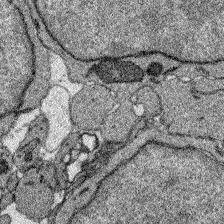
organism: Zebrafish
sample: Larval olfactory bulb